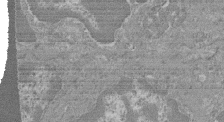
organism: Mouse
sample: Glomerulus